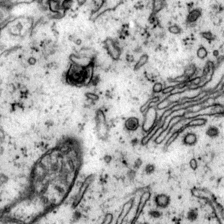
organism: Mouse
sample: Primary visual cortex